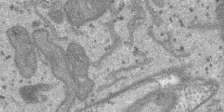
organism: Human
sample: Lung epithelial cells infected with SARS-CoV-2